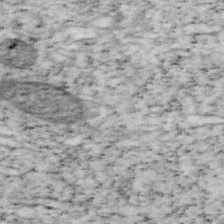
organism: Mouse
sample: OT-I killer T cells with ID8 ovarian cancer cells